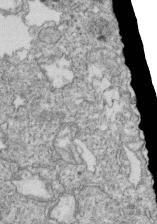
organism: Human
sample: HeLa cell HIV synapse